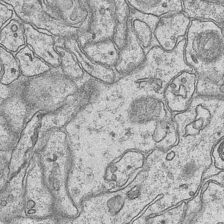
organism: Mouse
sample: CA1 Hippocampus